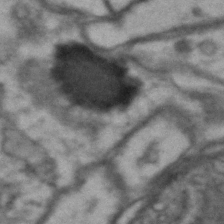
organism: Drosophila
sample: Brain